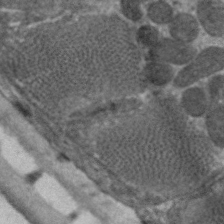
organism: C. elegans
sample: Pharynx